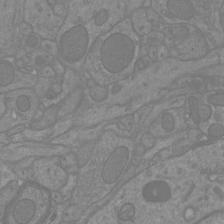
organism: Mouse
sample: Cortical neurons